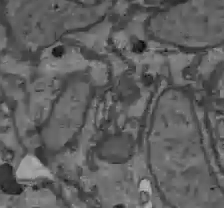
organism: C57BL Mouse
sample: Liver